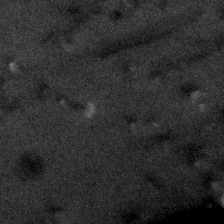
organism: Human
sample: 1205lu cells